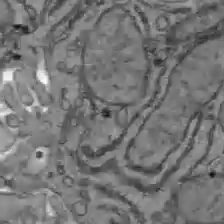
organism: C57BL Mouse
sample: Liver